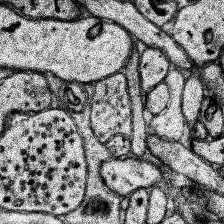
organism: Human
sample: Temporal Lobe